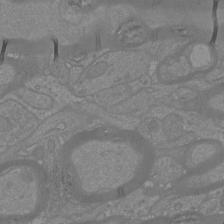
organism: Mouse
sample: Cortical neurons